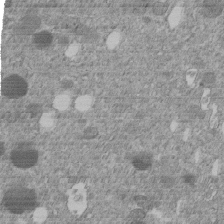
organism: C. elegans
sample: C. elegans embryo early stage